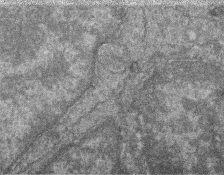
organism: Zebrafish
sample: Cilia; retinal pigment epithelium